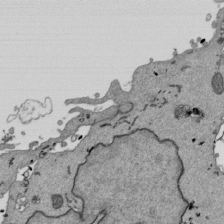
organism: Mouse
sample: ED-1 cell nuclei; centrioles